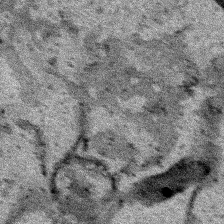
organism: Human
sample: Mitochondria in HCT116 cells